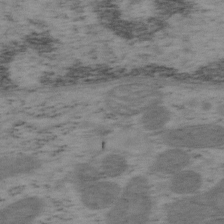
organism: Mouse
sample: OT-I killer T cells with ID8 ovarian cancer cells